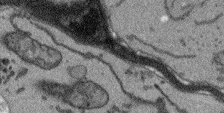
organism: Arabidopsis thaliana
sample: Root tip